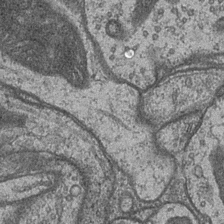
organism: Drosophila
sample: Optic medulla